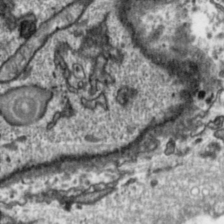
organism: Toxoplasma gondii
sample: Parasites in a vacuole inside a host cell